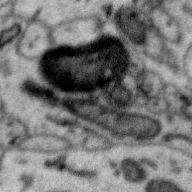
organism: Zebra finch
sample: Brain